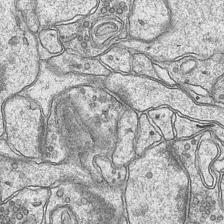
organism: Mouse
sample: CA1 Hippocampus